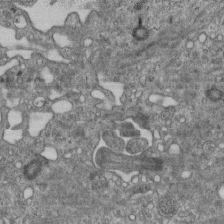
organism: Mouse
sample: Centriole in ependymal cells